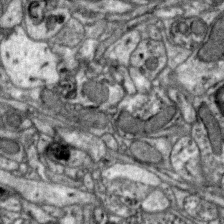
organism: Zebra finch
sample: Brain